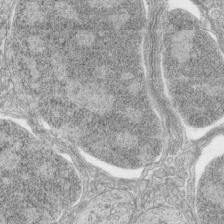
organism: Zebrafish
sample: synaptic ribbons in rod cells and cone cells